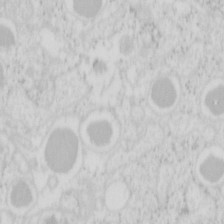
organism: Mouse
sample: Pancreas